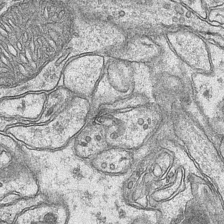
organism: Mouse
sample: CA1 Hippocampus